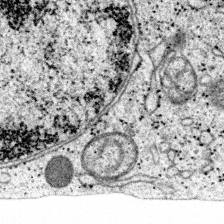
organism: Human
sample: HeLa cells